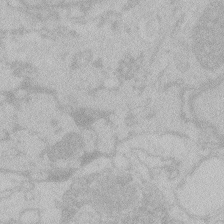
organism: Zebrafish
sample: Macrophage infected with Toxoplasma gondii